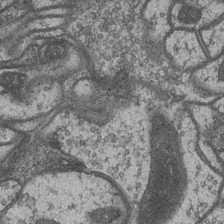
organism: Drosophila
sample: Optic medulla